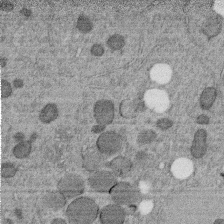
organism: C. elegans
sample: C. elegans embryo early stage